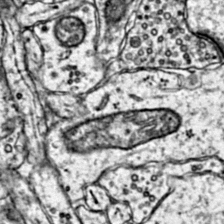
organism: Mouse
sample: Primary visual cortex